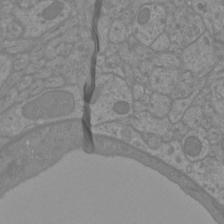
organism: Mouse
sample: Cortical neurons